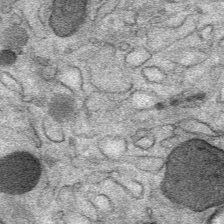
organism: Mouse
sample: Mouse Salivary gland